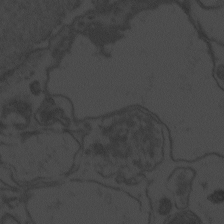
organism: Zebrafish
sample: Macrophage infected with Toxoplasma gondii